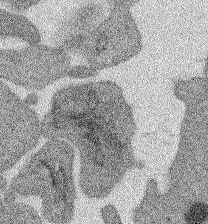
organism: Human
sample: HeLa cells